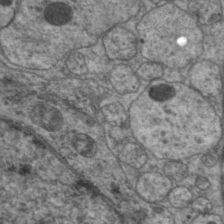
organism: C. elegans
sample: Pharynx